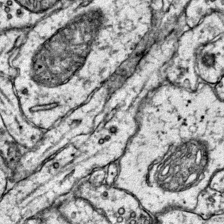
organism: Mouse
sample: Primary visual cortex